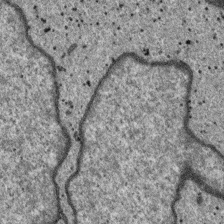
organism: Human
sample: Lung epithelial cells, uninfected (mock) control